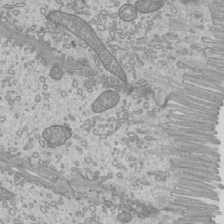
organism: Mouse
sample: Cilia; mouse epididymis